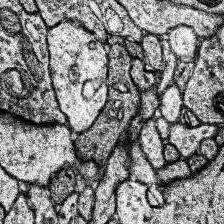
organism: Human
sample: Temporal Lobe